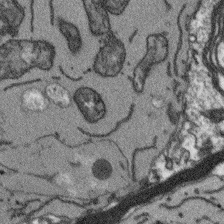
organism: Arabidopsis thaliana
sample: Root tip